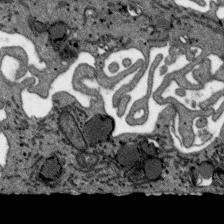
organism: Human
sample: Lung epithelial cells, uninfected (mock) control